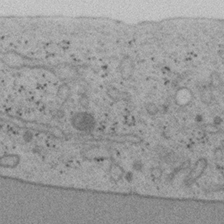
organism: Human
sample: HeLa cells